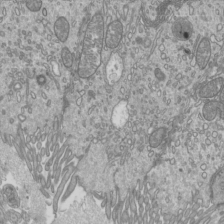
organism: Mouse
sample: Cilia; mouse epididymis